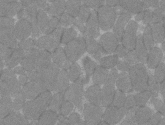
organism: C57BL Mouse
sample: Tibialis anterior muscle cell